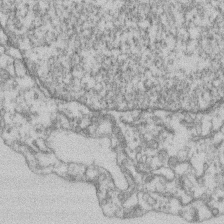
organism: Mouse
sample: T cell stromal cell synapse